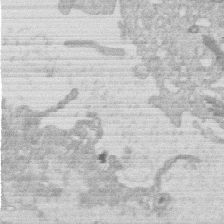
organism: Human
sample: Macrophage cells